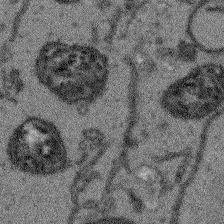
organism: Arabidopsis thaliana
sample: Root tip